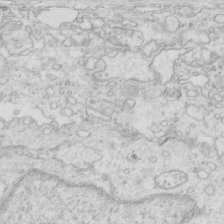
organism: Mouse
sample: Multiciliated cells